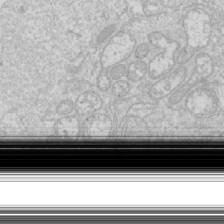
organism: Drosophila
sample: Cell division; meiosis; drosophila spermatocytes